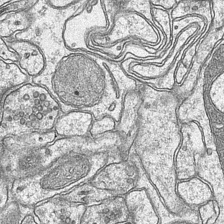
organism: Mouse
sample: CA1 Hippocampus